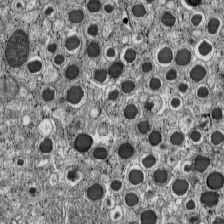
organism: C57BL Mouse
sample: Pancreatic islet